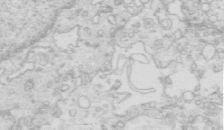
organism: Mouse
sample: Multiciliated cells